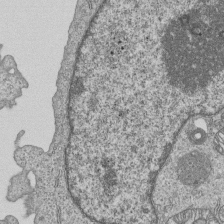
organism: Human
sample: MDA-MB-231 cells